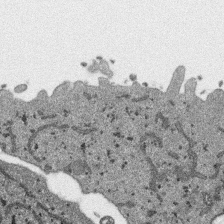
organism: Human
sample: Lung epithelial cells infected with SARS-CoV-2